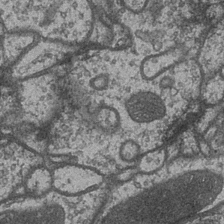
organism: Drosophila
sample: Optic medulla